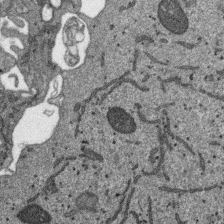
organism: Human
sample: Lung epithelial cells infected with SARS-CoV-2